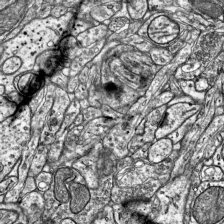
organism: Mouse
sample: Visual Cortex